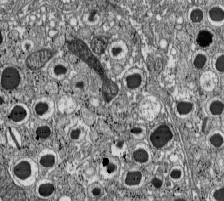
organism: C57BL Mouse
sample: Pancreatic islet